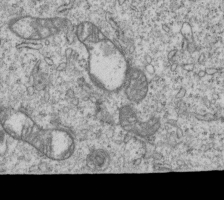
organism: Human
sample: MDA-MB-231 cells